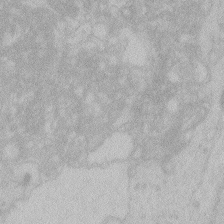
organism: Zebrafish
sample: Macrophage infected with Toxoplasma gondii